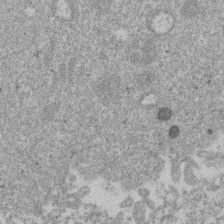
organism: Mouse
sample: Dividing mouse embryo 1 cell stage